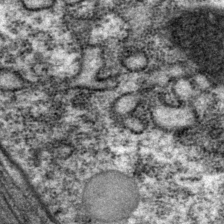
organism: P. pacificus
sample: Pharynx